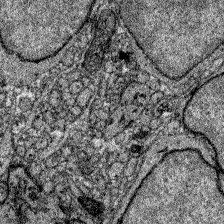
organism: Zebrafish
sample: Larval olfactory bulb